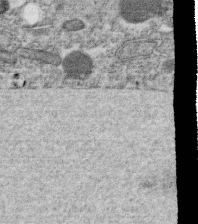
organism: C. elegans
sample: C. elegans oocyte; sperm cells